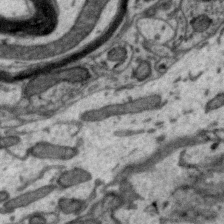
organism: Zebra finch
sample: Brain